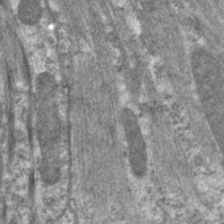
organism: C. elegans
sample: Pharynx